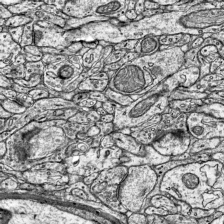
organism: Mouse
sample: Visual Cortex